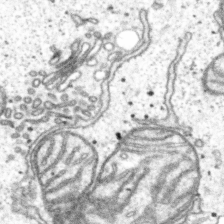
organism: Human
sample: HeLa cells